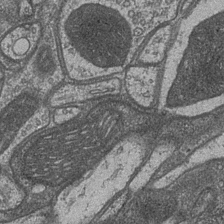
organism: Drosophila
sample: Optic medulla